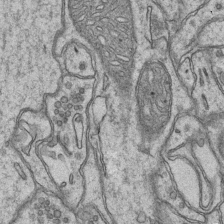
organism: Mouse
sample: CA1 Hippocampus